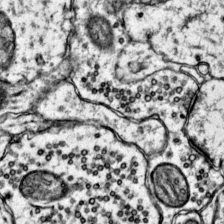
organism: Mouse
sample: Primary visual cortex